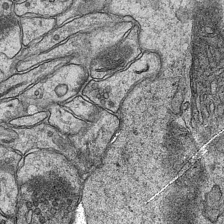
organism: Mouse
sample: CA1 Hippocampus